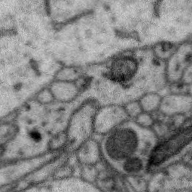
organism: Zebra finch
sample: Brain